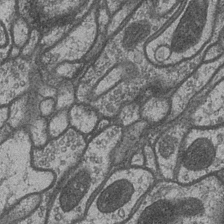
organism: Drosophila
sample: Optic medulla